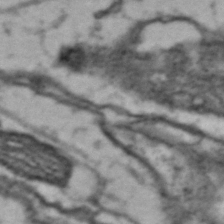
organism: Drosophila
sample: Brain